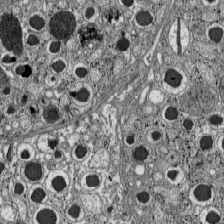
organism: C57BL Mouse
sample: Pancreatic islet